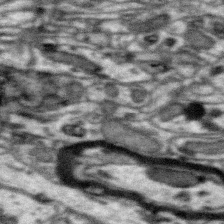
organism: Zebra finch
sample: Brain